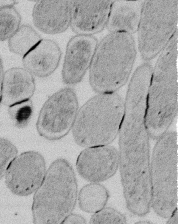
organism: E. coli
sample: Bacterial nucleoid